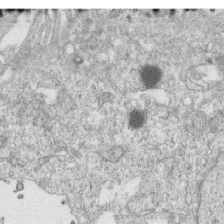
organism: Human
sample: HeLa cell HIV synapse